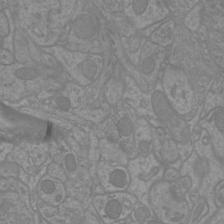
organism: Mouse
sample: Cortical neurons